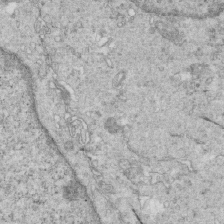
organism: Mouse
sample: Multiciliated cells